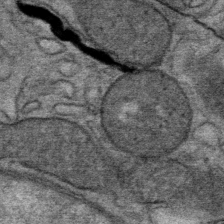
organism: Mouse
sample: Mouse Salivary gland